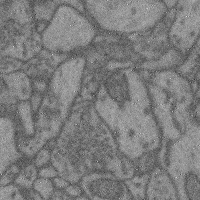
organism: Mouse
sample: Cerebral cortex